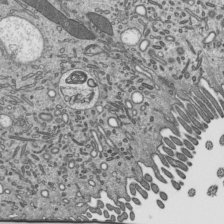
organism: Mouse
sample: Mouse epididymis efferent ductule cilia